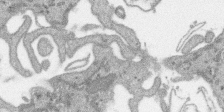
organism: Human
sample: Lung epithelial cells infected with SARS-CoV-2